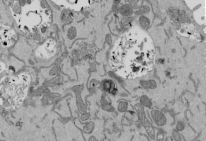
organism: Mouse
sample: ED-1 cell nuclei; centrioles